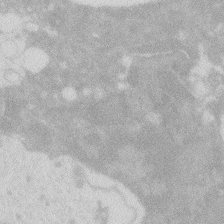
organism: Zebrafish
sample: Macrophage